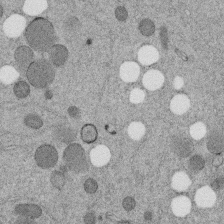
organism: C. elegans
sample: C. elegans embryo early stage